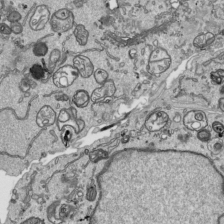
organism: Human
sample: Mitochondria in HCT116 cells